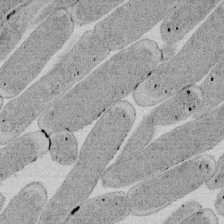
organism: E. coli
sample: Bacterial nucleoid